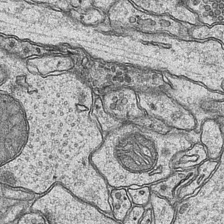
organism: Mouse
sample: CA1 Hippocampus